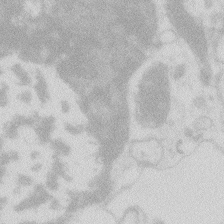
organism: Zebrafish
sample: Macrophage